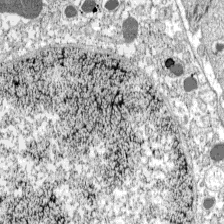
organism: C57BL Mouse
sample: Pancreatic islet